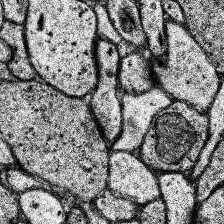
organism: Human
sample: Temporal Lobe